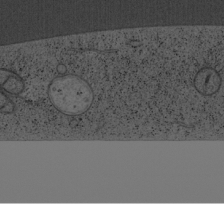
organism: African green monkey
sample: COS-7 cells